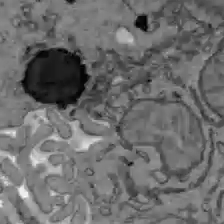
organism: C57BL Mouse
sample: Liver